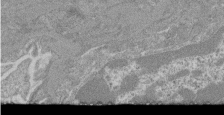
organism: Mouse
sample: Glomerulus